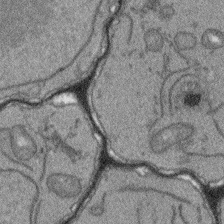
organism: Arabidopsis thaliana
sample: Root tip